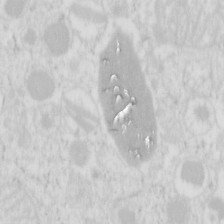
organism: Mouse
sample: Pancreas